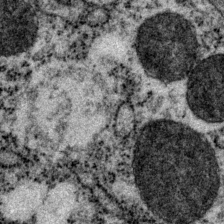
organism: P. pacificus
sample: Pharynx